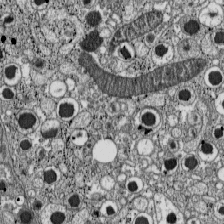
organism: C57BL Mouse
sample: Pancreatic islet